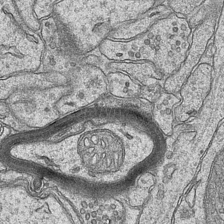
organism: Mouse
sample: CA1 Hippocampus